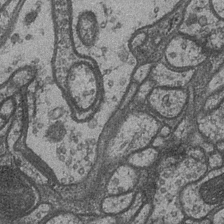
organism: Drosophila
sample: Optic medulla